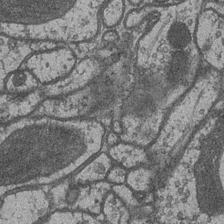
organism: Drosophila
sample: Optic medulla